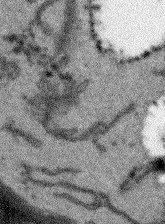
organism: Arabidopsis thaliana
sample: Root tip